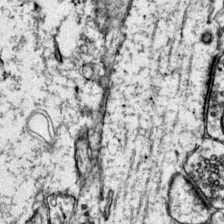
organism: Mouse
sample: Primary visual cortex